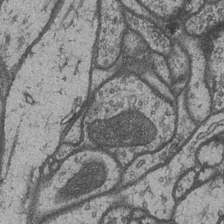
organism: Drosophila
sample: Optic medulla